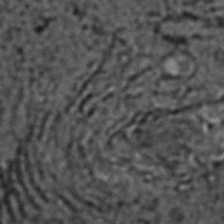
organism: C. elegans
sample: C. elegans embryo